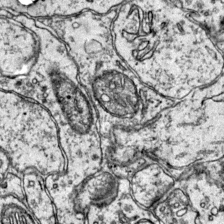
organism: Mouse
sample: Primary visual cortex